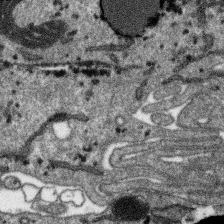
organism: Human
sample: Lung epithelial cells infected with SARS-CoV-2